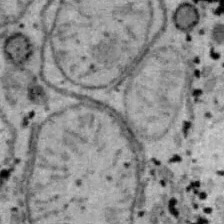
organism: Mouse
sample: Liver from an obese (ob/ob) mouse